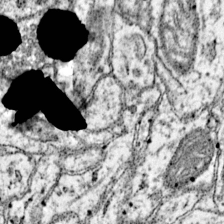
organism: Mouse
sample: Primary visual cortex